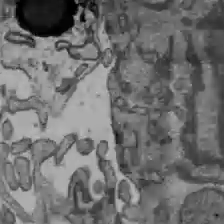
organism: C57BL Mouse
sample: Liver